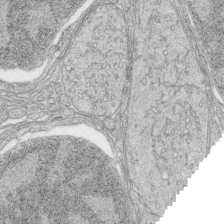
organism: Zebrafish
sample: synaptic ribbons in rod cells and cone cells